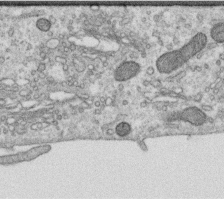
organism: Human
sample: Centriole in RPE cells